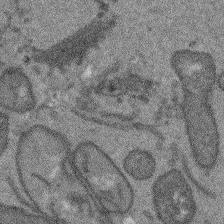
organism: Arabidopsis thaliana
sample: Root tip